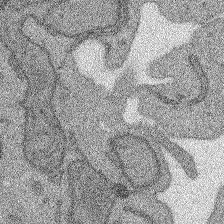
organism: Human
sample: HeLa cells